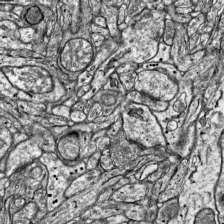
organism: Mouse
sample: Visual Cortex